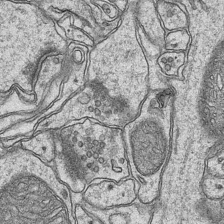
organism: Mouse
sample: CA1 Hippocampus